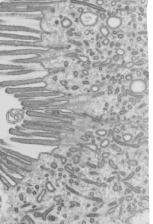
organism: Mouse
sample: Mouse epididymis efferent ductule cilia